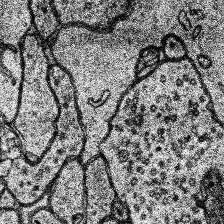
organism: Human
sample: Temporal Lobe